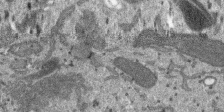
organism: Human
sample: Lung epithelial cells infected with SARS-CoV-2